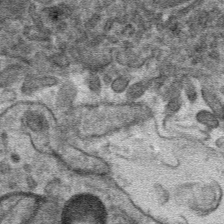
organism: Mouse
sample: Mouse hepatocytes